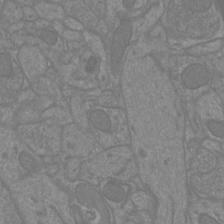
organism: Mouse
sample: Cortical neurons